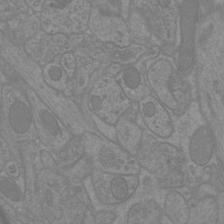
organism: Mouse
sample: Cortical neurons